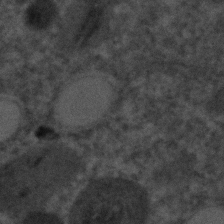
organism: C. elegans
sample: C. elegans embryo